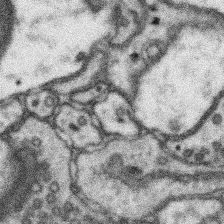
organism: Mouse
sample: Somatosensory cortex neuropil